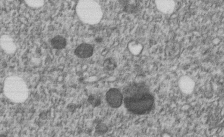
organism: C. elegans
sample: C. elegans embryo early stage